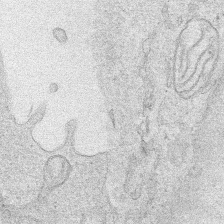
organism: Human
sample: Mitochondria in HCT116 cells